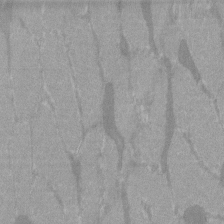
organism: C57BL Mouse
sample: Tibialis anterior muscle cell